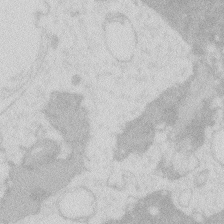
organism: Zebrafish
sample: Macrophage